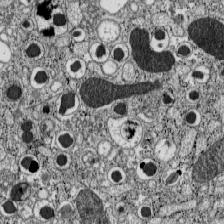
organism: C57BL Mouse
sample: Pancreatic islet